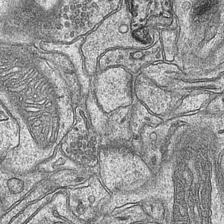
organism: Mouse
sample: CA1 Hippocampus